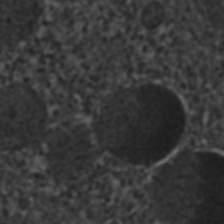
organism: C. elegans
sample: C. elegans embryo